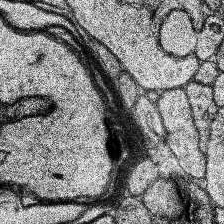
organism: Human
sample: Temporal Lobe